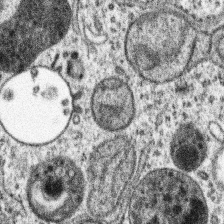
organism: Human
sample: HeLa cells